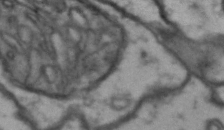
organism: Drosophila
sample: Brain